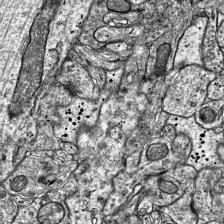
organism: Mouse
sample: Visual Cortex